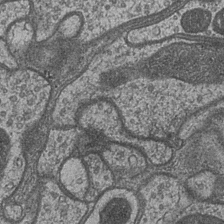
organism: Drosophila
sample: Optic medulla